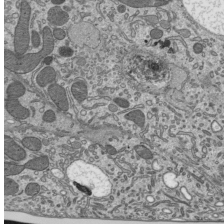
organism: Mouse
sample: Mouse epididymis efferent ductule cilia